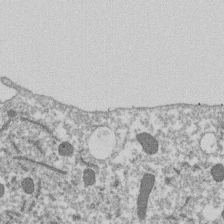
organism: Dictyostelium discoideum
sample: Dictyostelium multivesicular bodies